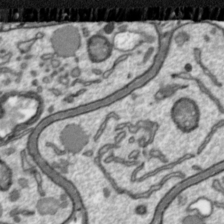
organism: Toxoplasma gondii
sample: Parasites in a vacuole inside a host cell